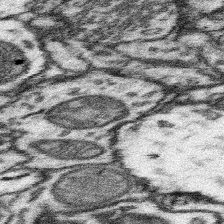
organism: Mouse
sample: Somatosensory cortex neuropil